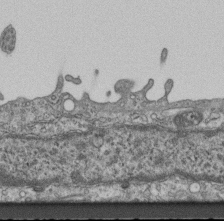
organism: Mouse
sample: Centriole in ependymal cells